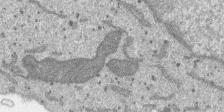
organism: Human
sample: Lung epithelial cells infected with SARS-CoV-2